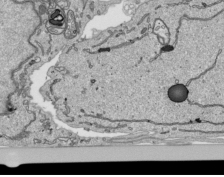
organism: Human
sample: Mitochondria in HCT116 cells